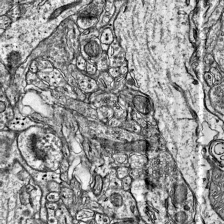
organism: Mouse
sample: Visual Cortex